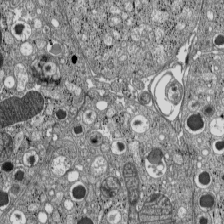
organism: C57BL Mouse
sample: Pancreatic islet